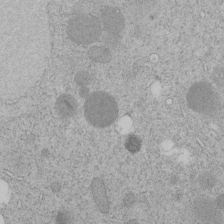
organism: C. elegans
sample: C. elegans embryo early stage